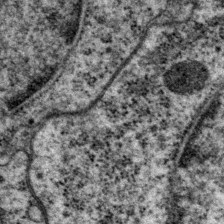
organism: P. pacificus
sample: Pharynx